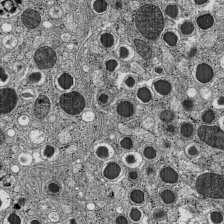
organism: C57BL Mouse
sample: Pancreatic islet